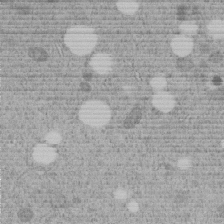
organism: C. elegans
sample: C. elegans embryo early stage